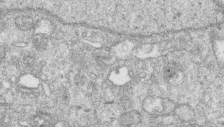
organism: Human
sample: HeLa cell HIV synapse